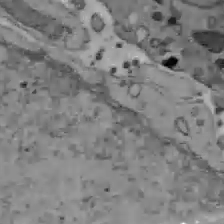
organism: C57BL Mouse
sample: Liver